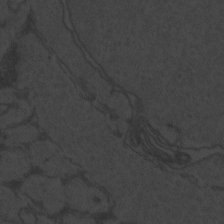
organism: Zebrafish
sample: Macrophage infected with Toxoplasma gondii